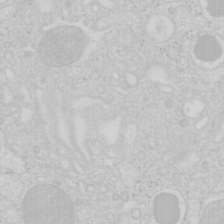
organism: Mouse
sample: Pancreas